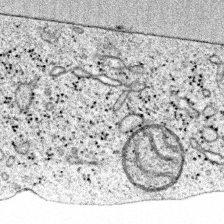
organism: Human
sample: HeLa cells